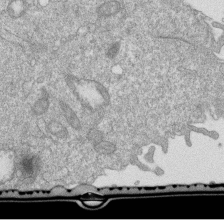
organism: Human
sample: HeLa cell HIV synapse